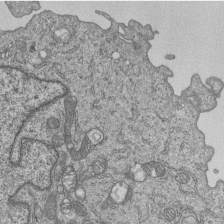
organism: Human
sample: MDA-MB-231 cells